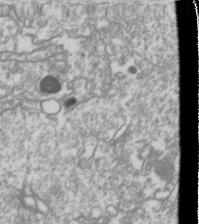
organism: Drosophila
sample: Cell division; meiosis; drosophila spermatocytes